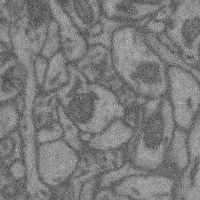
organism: Mouse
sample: Cerebral cortex